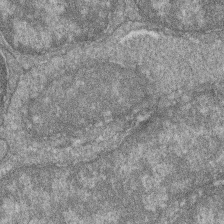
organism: Zebrafish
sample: Cilia; retinal pigment epithelium